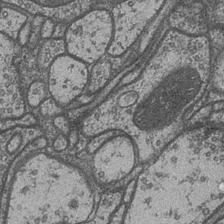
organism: Drosophila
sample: Optic medulla